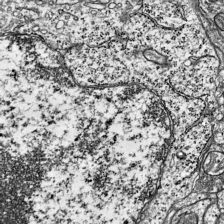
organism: Mouse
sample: Visual Cortex